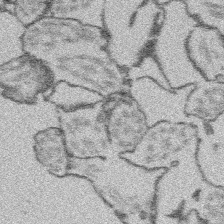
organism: Platynereis dumerilii